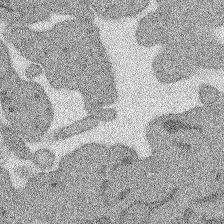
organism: Human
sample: HeLa cells